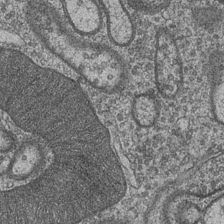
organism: Drosophila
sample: Optic medulla